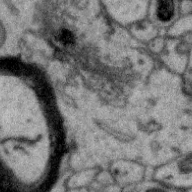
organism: Zebra finch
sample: Brain